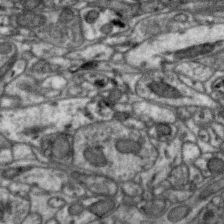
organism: Zebra finch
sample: Brain